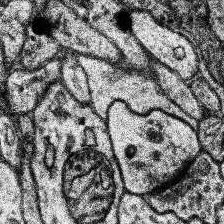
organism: Human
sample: Temporal Lobe